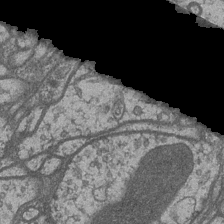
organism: Drosophila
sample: Optic medulla